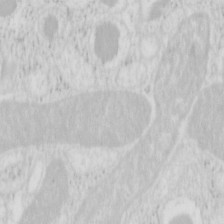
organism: Mouse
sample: Pancreas